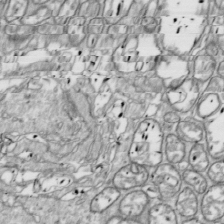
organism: Drosophila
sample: Cell division; meiosis; drosophila spermatocytes